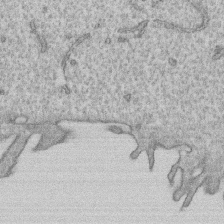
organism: Human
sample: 1205lu cells